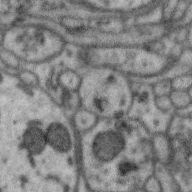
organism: Zebra finch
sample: Brain